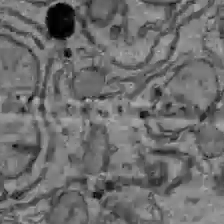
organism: C57BL Mouse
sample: Liver